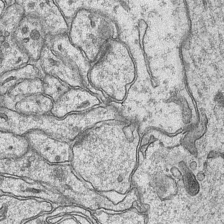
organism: Mouse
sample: CA1 Hippocampus